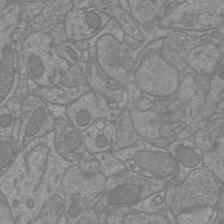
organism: Mouse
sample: Cortical neurons